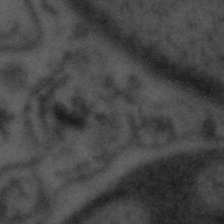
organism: Tuwongella immobilis